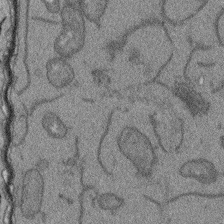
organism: Arabidopsis thaliana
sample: Root tip